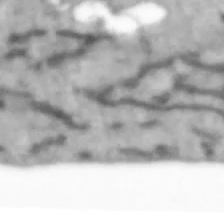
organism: Human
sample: SH-SY5Y cells